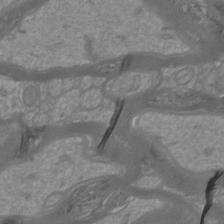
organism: Mouse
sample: Cortical neurons